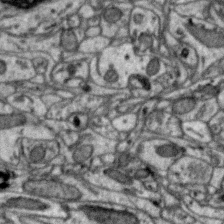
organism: Zebra finch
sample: Brain